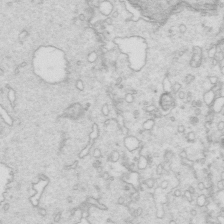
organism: Mouse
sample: Multiciliated cells